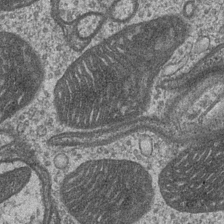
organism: Drosophila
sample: Optic medulla